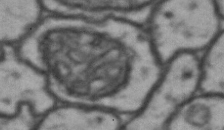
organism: Drosophila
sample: Brain